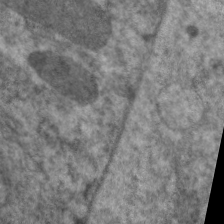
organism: C. elegans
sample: Pharynx